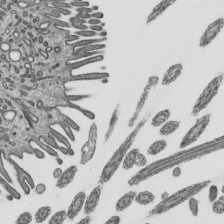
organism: Mouse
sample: Mouse epididymis efferent ductule cilia